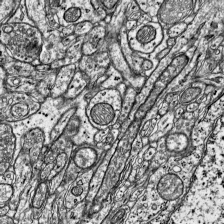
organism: Mouse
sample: Visual Cortex